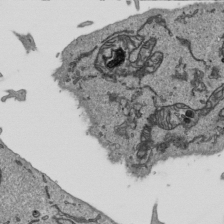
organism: Human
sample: Mitochondria in HCT116 cells